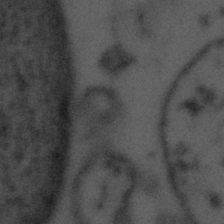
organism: Tuwongella immobilis